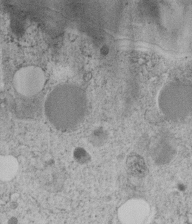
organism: C. elegans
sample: C. elegans embryo early stage